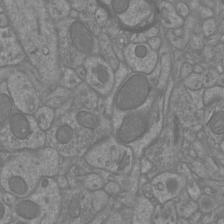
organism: Mouse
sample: Cortical neurons